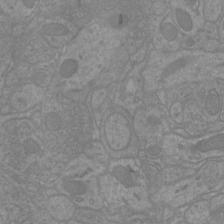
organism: Mouse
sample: Cortical neurons